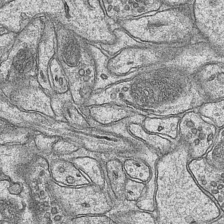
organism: Mouse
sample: CA1 Hippocampus